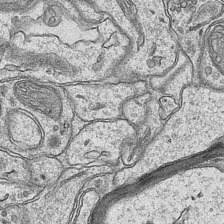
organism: Mouse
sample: CA1 Hippocampus